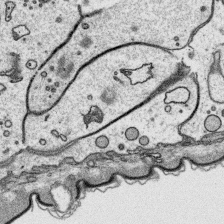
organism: Platynereis dumerilii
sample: Parapodia